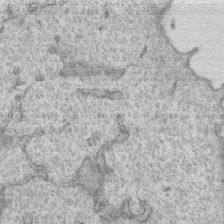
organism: Human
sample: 1205lu cells